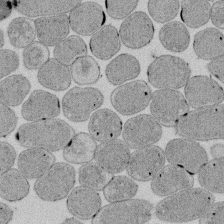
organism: E. coli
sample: Bacterial nucleoid